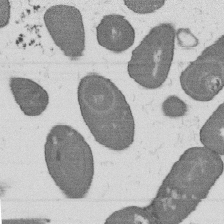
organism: B. subtilis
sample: Bacterial spore